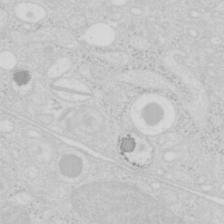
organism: Mouse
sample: Pancreas